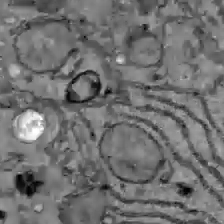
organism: C57BL Mouse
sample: Liver